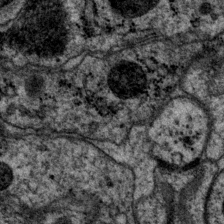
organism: P. pacificus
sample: Pharynx